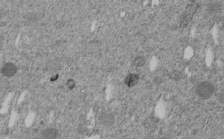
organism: C. elegans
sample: C. elegans embryo early stage